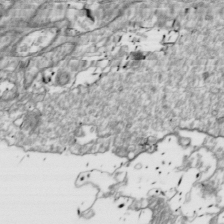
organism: Drosophila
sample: Cell division; meiosis; drosophila spermatocytes